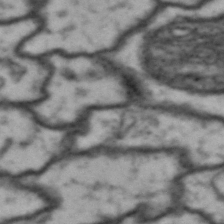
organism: Drosophila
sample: Brain